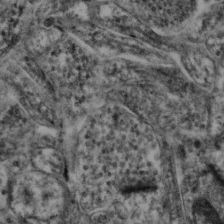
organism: Mouse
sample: Neocortex